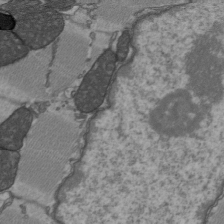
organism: C57BL Mouse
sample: Heart